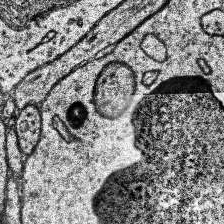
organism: Human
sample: Temporal Lobe